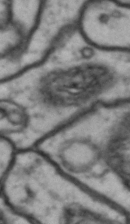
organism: Drosophila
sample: Brain